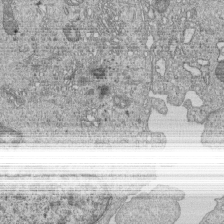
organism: Human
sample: MDA-MB-231 cells